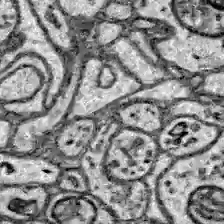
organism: Zebrafish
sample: Brain